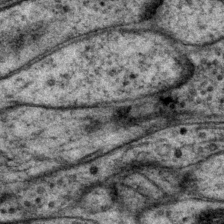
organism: P. pacificus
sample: Pharynx